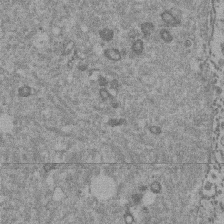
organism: Mouse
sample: Dividing mouse embryo 1 cell stage